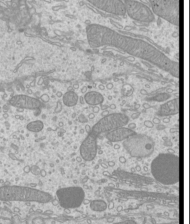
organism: Mouse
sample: Cilia; mouse epididymis